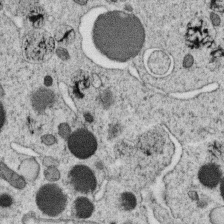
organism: C. elegans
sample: C. elegans oocyte; sperm cells